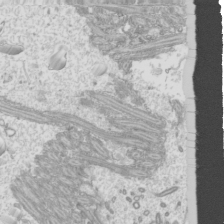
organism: Mouse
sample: Cilia; mouse epididymis